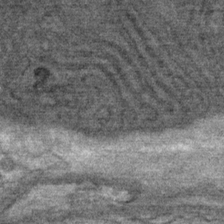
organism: Mouse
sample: Mouse Salivary gland